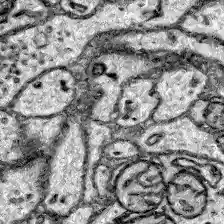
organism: Zebrafish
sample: Brain